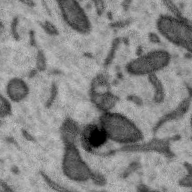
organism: Zebra finch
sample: Brain